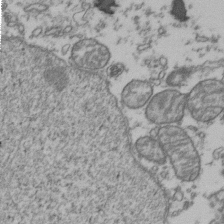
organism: Human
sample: Activated Jurkat CD4+ T cells